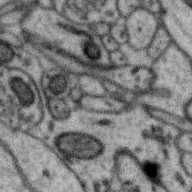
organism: Zebra finch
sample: Brain